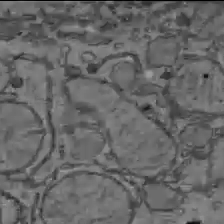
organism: C57BL Mouse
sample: Liver